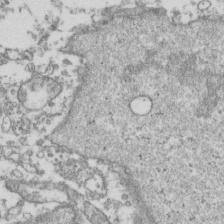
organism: Human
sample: Activated Jurkat CD4+ T cells